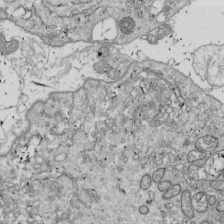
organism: Drosophila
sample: Cell division; meiosis; drosophila spermatocytes